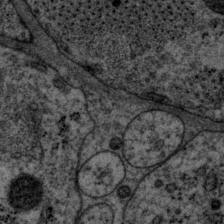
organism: P. pacificus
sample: Pharynx